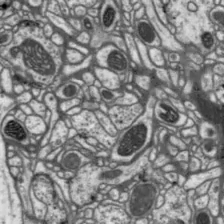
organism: Drosophila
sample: Protocerebral bridge